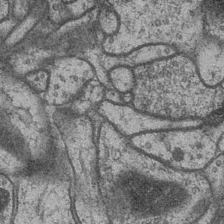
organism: Drosophila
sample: Optic medulla